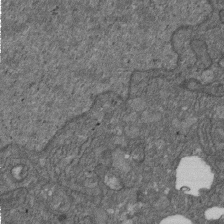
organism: Drosophila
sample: Nephrocyte